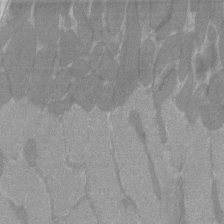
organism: C57BL Mouse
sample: Tibialis anterior muscle cell